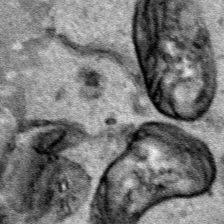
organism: Human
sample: Mitochondria in HCT116 cells